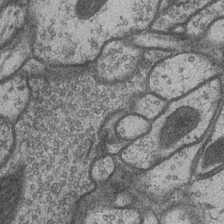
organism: Drosophila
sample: Optic medulla